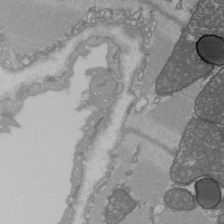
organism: C57BL Mouse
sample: Heart